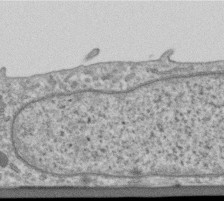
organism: Human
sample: Centriole in RPE cells